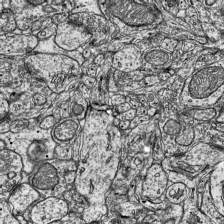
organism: Mouse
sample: Visual Cortex